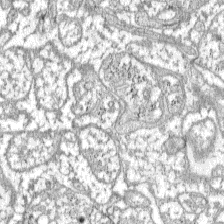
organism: C57BL Mouse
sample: Pancreatic islet